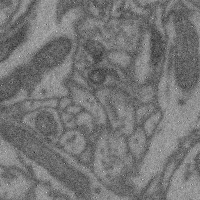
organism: Mouse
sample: Cerebral cortex